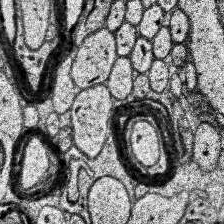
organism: Human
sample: Temporal Lobe